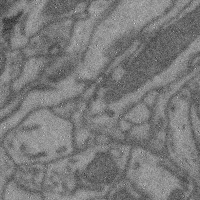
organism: Mouse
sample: Cerebral cortex